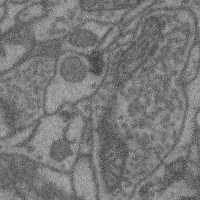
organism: Mouse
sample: Cerebral cortex